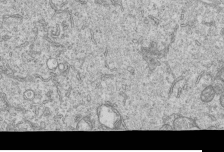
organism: Human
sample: MDA-MB-231 cells